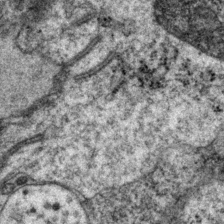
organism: P. pacificus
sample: Pharynx